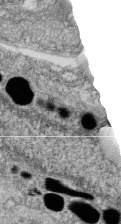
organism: Zebrafish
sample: Cilia; retinal pigment epithelium